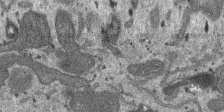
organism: Human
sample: Lung epithelial cells infected with SARS-CoV-2